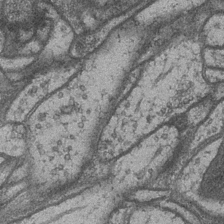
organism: Drosophila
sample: Optic medulla